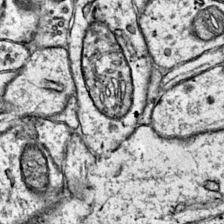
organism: Mouse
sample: Primary visual cortex